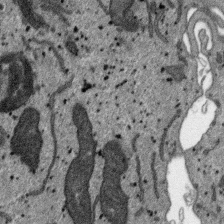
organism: Human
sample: Lung epithelial cells, uninfected (mock) control